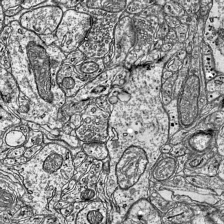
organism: Mouse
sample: Visual Cortex